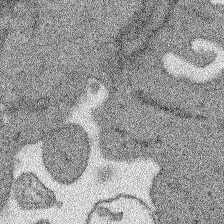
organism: Human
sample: HeLa cells